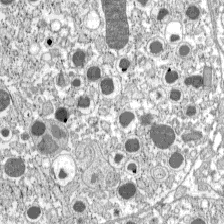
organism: C57BL Mouse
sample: Pancreatic islet